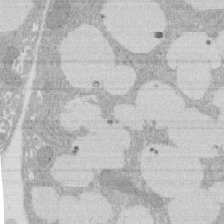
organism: Rat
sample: Salivary granule